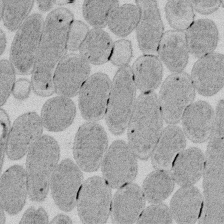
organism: E. coli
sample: Bacterial nucleoid